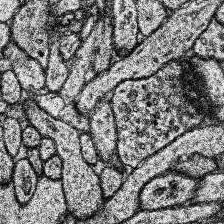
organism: Human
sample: Temporal Lobe